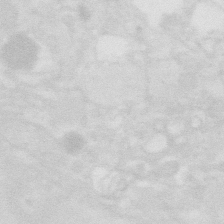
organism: Human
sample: HeLa cells